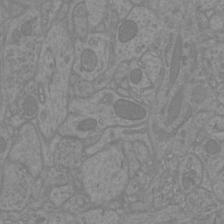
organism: Mouse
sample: Cortical neurons